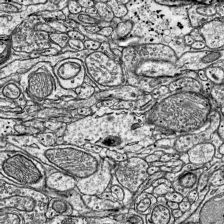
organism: Mouse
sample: Visual Cortex